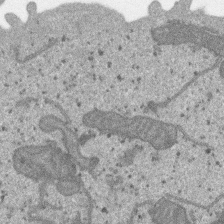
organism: Human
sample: Lung epithelial cells infected with SARS-CoV-2